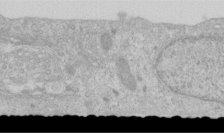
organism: Human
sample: Centriole in RPE cells